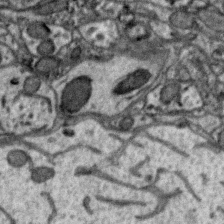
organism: Zebra finch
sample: Brain